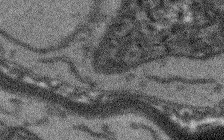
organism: Arabidopsis thaliana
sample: Root tip